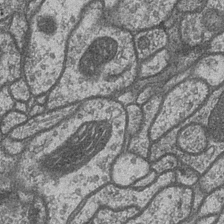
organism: Drosophila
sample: Optic medulla